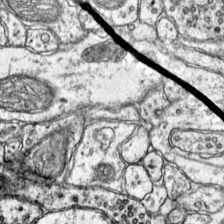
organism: Mouse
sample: Primary visual cortex